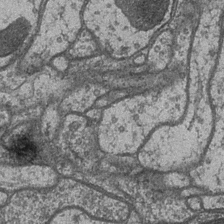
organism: Drosophila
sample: Optic medulla